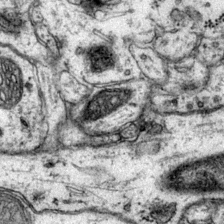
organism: Mouse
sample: Primary visual cortex